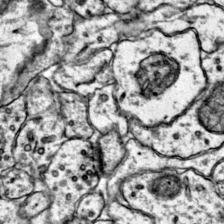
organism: Mouse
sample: Primary visual cortex